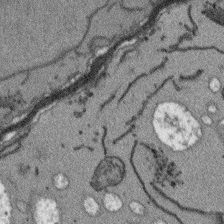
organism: Arabidopsis thaliana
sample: Root tip